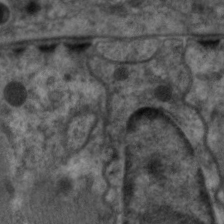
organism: C. elegans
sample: Pharynx